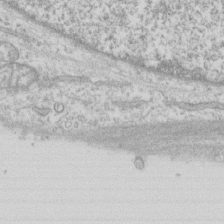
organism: Human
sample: CRL-1474